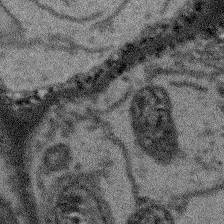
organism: Arabidopsis thaliana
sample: Root tip